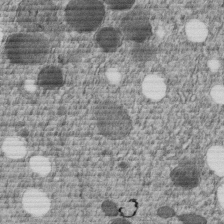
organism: C. elegans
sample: C. elegans embryo early stage